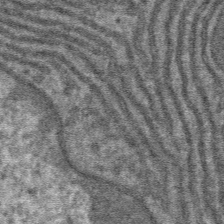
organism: Mouse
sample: Mouse hepatocytes